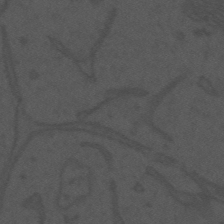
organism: Mouse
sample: Suprachiasmatic nucleus